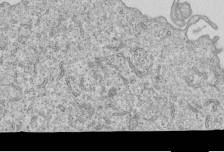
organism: Human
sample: MDA-MB-231 cells